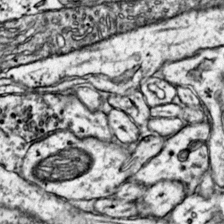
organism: Mouse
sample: Primary visual cortex